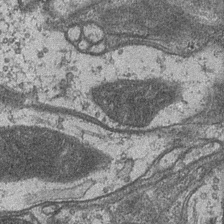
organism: Drosophila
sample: Optic medulla